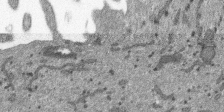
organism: Human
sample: Lung epithelial cells infected with SARS-CoV-2